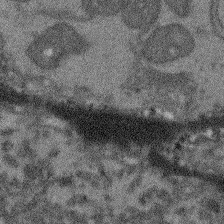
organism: Arabidopsis thaliana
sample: Root tip